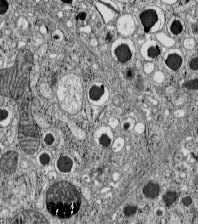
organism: C57BL Mouse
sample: Pancreatic islet